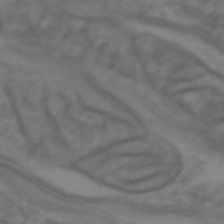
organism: Zebrafish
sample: Zebrafish embryo